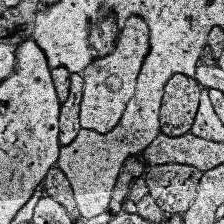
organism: Human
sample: Temporal Lobe